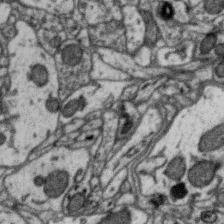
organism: Zebra finch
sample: Brain